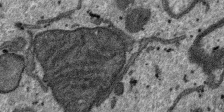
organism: Human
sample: Lung epithelial cells, uninfected (mock) control